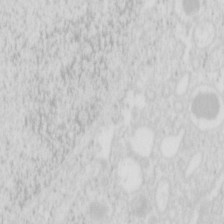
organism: Mouse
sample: Pancreas